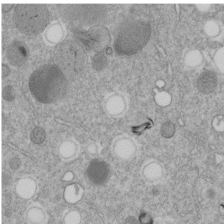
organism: C. elegans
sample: C. elegans embryo early stage